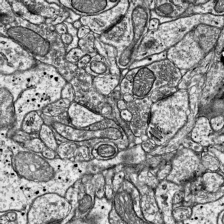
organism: Mouse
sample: Visual Cortex